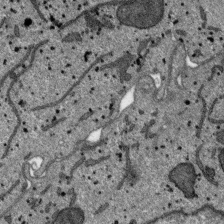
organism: Human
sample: Lung epithelial cells, uninfected (mock) control